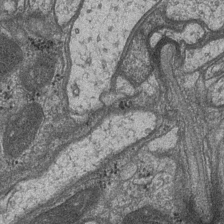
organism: Drosophila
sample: Optic medulla